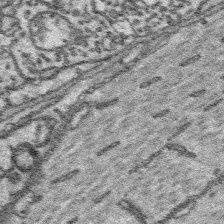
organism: Platynereis dumerilii